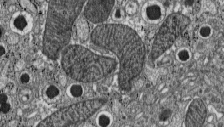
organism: C57BL Mouse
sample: Pancreatic islet